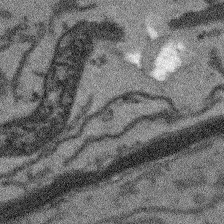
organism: Arabidopsis thaliana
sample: Root tip